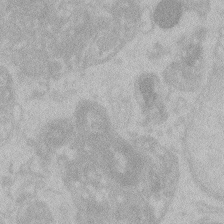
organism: Zebrafish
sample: Macrophage infected with Toxoplasma gondii